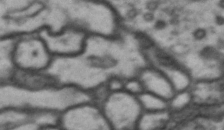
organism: Drosophila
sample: Brain